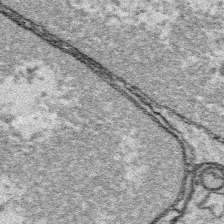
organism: Platynereis dumerilii